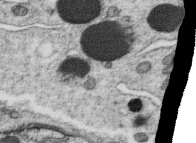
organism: C. elegans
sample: C. elegans oocyte; sperm cells